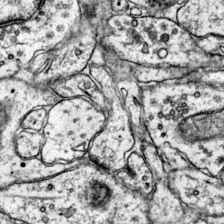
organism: Mouse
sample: Primary visual cortex